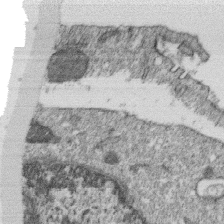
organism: African green monkey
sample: Vero E6 cells infected with SARS-CoV-2